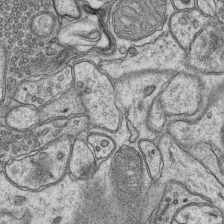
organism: Mouse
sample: CA1 Hippocampus